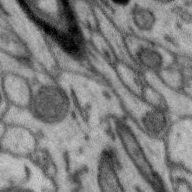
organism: Zebra finch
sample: Brain